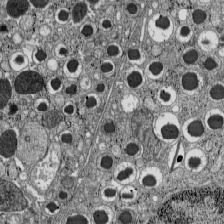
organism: C57BL Mouse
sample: Pancreatic islet